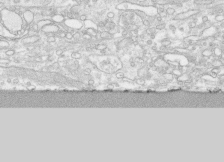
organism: Human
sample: CRL-1474